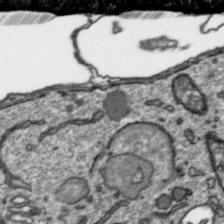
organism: Toxoplasma gondii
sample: Parasites in a vacuole inside a host cell